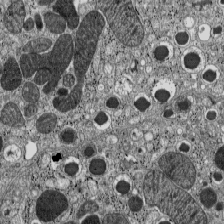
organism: C57BL Mouse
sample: Pancreatic islet